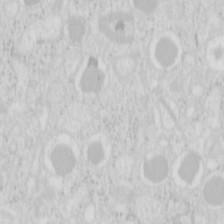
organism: Mouse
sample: Pancreas